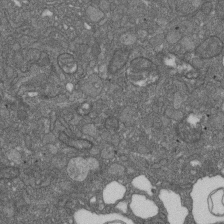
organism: Drosophila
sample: Nephrocyte